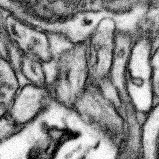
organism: Mouse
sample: Somatosensory cortex neuropil